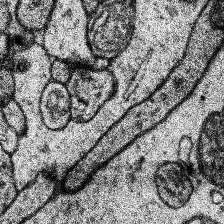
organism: Human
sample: Temporal Lobe